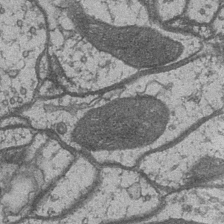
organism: Drosophila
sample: Optic medulla